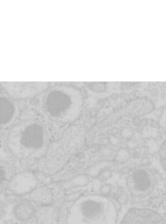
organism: Mouse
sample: Pancreas